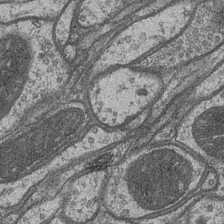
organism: Drosophila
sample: Optic medulla